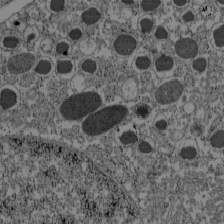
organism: C57BL Mouse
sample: Pancreatic islet